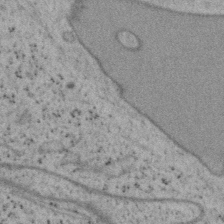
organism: Human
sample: HeLa cells